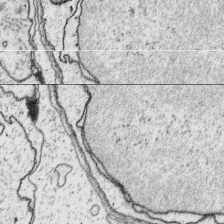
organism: Platynereis dumerilii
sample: Parapodia